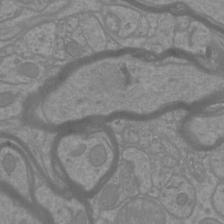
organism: Mouse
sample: Cortical neurons